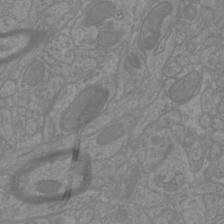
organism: Mouse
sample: Cortical neurons